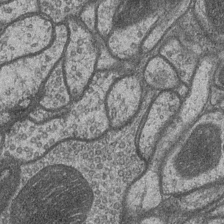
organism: Drosophila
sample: Optic medulla